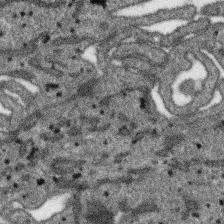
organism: Human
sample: Lung epithelial cells infected with SARS-CoV-2